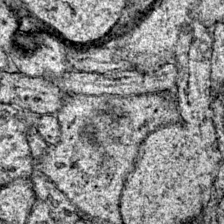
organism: Mouse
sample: Primary visual cortex